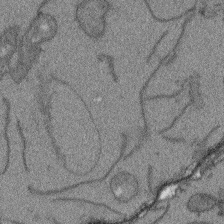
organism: Arabidopsis thaliana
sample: Root tip